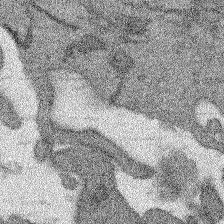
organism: Human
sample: HeLa cells